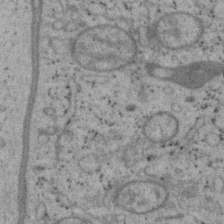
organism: Human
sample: HeLa cells